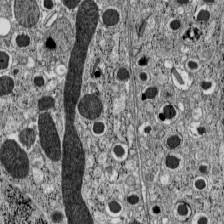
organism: C57BL Mouse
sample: Pancreatic islet